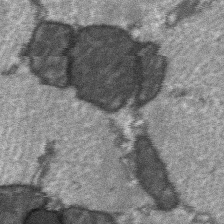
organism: C57BL Mouse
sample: Soleus